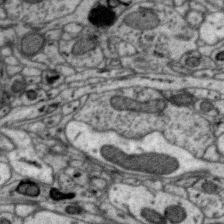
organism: Zebra finch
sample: Brain